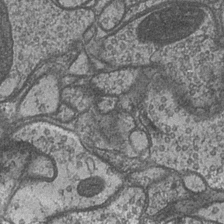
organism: Drosophila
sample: Optic medulla